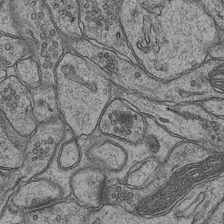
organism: Mouse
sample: CA1 Hippocampus